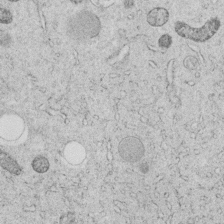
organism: C. elegans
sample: C. elegans embryo early stage